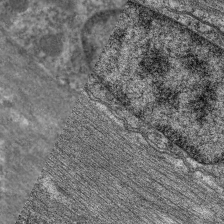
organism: C. elegans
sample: Pharynx